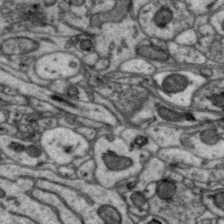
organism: Zebra finch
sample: Brain